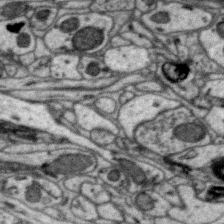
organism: Zebra finch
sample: Brain